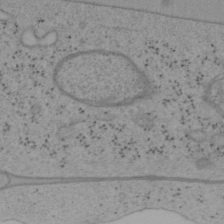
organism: Human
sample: HeLa cells